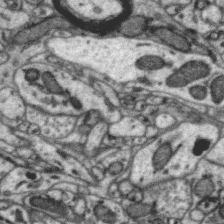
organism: Zebra finch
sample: Brain